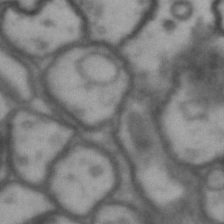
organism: Drosophila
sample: Brain